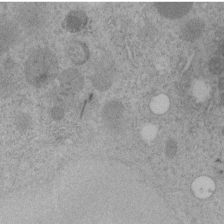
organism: C. elegans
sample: C. elegans embryo early stage